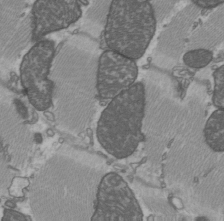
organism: C57BL Mouse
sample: Heart